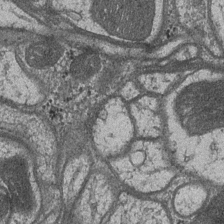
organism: Drosophila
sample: Optic medulla